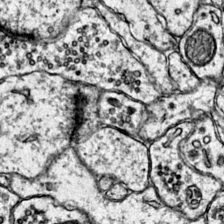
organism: Mouse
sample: Primary visual cortex